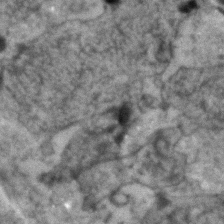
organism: Human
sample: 1205lu cells